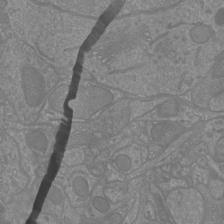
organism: Mouse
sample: Cortical neurons